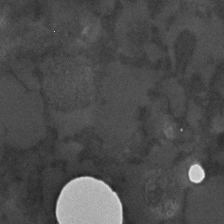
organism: C. elegans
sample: C. elegans embryo